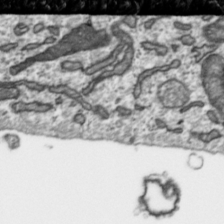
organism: Toxoplasma gondii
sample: Parasites in a vacuole inside a host cell